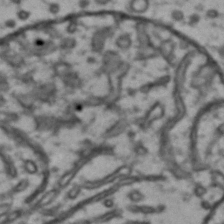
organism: Drosophila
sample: Brain